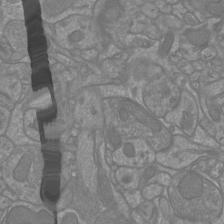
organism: Mouse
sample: Cortical neurons